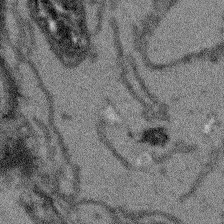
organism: Arabidopsis thaliana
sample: Root tip